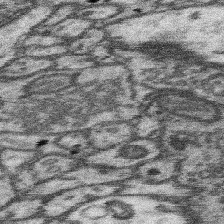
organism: Mouse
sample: Somatosensory cortex neuropil